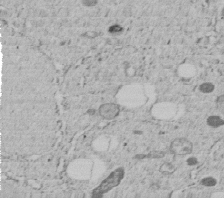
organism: C. elegans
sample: C. elegans embryo early stage